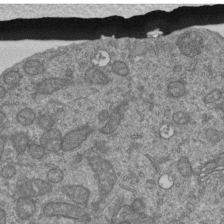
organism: Human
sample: Retinal organoid Rod and Cone cells